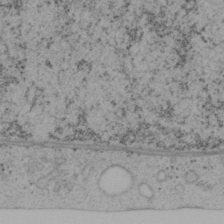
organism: Human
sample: HeLa cells